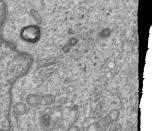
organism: Human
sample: MDA-MB-231 cells